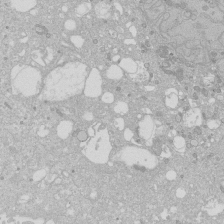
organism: Human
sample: Caco-2 cells